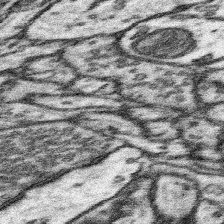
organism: Mouse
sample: Somatosensory cortex neuropil